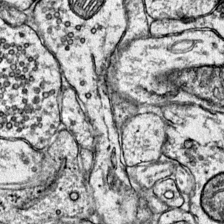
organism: Mouse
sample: Primary visual cortex